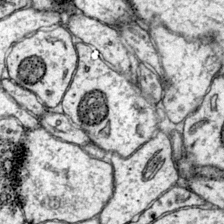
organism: Mouse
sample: Primary visual cortex